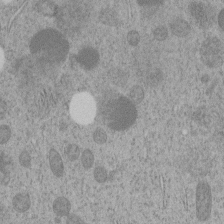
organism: C. elegans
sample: C. elegans embryo early stage